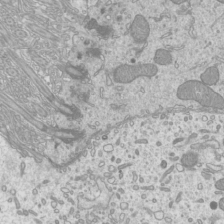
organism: Mouse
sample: Cilia; mouse epididymis